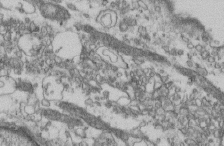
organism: Mouse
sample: Cilia; retinal pigment epithelium